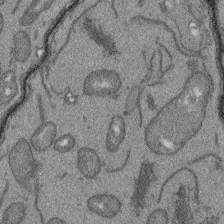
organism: Arabidopsis thaliana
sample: Root tip